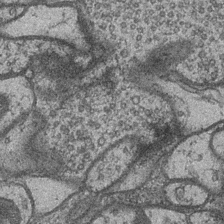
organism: Drosophila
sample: Optic medulla